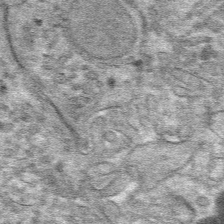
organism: Mouse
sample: Mouse hepatocytes